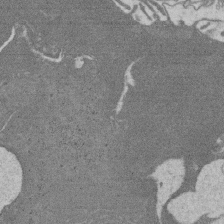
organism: Rat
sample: Salivary granule